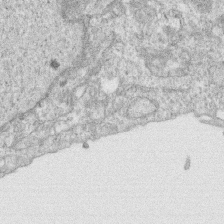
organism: Human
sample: HeLa cell HIV synapse